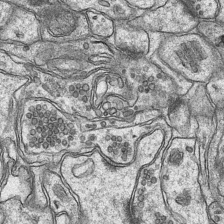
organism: Mouse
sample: CA1 Hippocampus